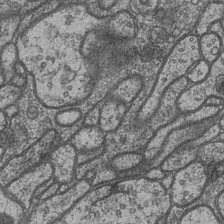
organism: Drosophila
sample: Optic medulla